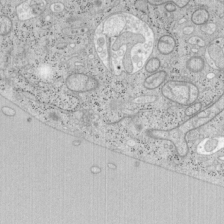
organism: Mouse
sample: OT-I killer T cells with ID8 ovarian cancer cells